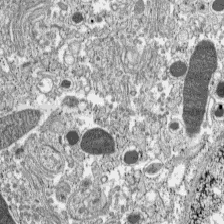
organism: C57BL Mouse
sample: Pancreatic islet